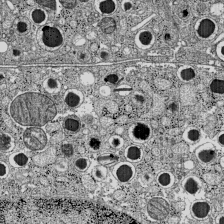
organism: C57BL Mouse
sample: Pancreatic islet